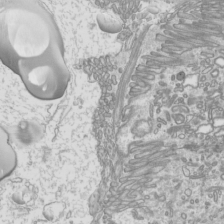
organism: Mouse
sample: Cilia; mouse epididymis